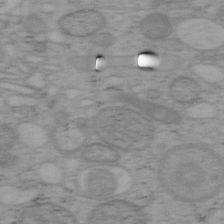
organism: Mouse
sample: OT-I killer T cells with ID8 ovarian cancer cells